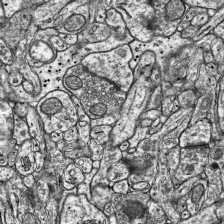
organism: Mouse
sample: Visual Cortex